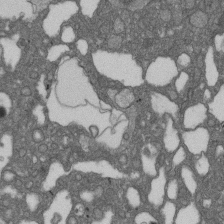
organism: Drosophila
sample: Nephrocyte